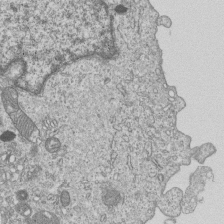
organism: Human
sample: MDA-MB-231 cells